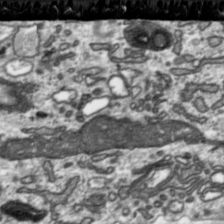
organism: Toxoplasma gondii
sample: Parasites in a vacuole inside a host cell